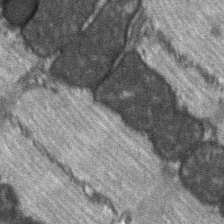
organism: C57BL Mouse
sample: Soleus